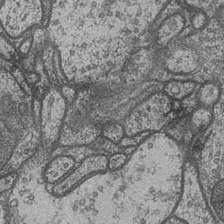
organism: Drosophila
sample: Optic medulla